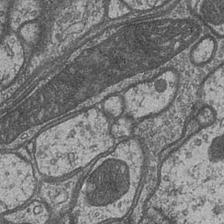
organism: Drosophila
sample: Optic medulla